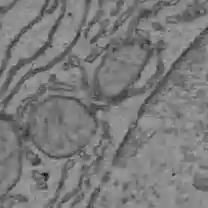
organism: C57BL Mouse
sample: Liver